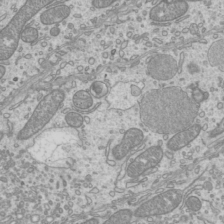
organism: Mouse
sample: Cilia; mouse epididymis